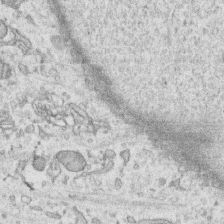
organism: Human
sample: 1205lu cells